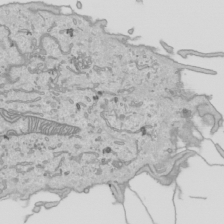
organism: Human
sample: Mitochondria in HCT116 cells